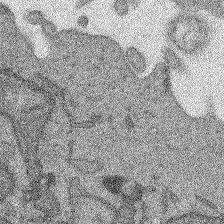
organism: Human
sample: HeLa cells